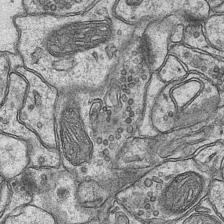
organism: Mouse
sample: CA1 Hippocampus